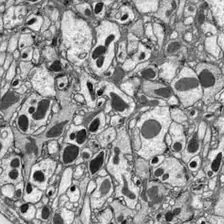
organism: Drosophila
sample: Optic lobe